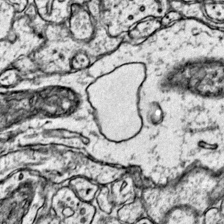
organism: Mouse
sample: Primary visual cortex